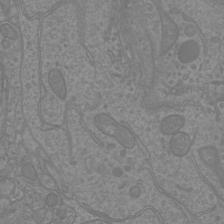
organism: Mouse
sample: Cortical neurons